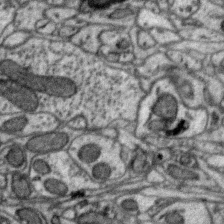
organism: Zebra finch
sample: Brain